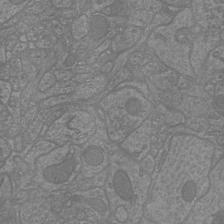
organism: Mouse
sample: Cortical neurons